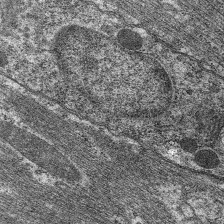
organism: C. elegans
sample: Pharynx